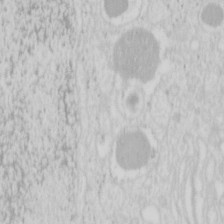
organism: Mouse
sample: Pancreas